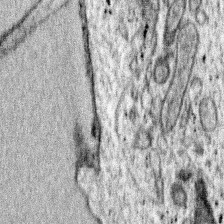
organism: Human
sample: HeLa cells